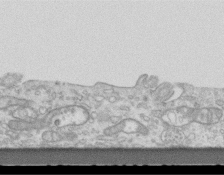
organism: Mouse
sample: Centriole in ependymal cells